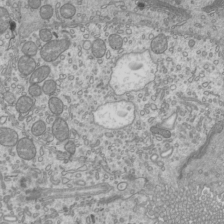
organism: Mouse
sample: Cilia; mouse epididymis